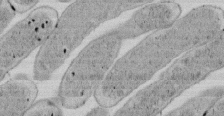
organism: E. coli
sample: Bacterial nucleoid